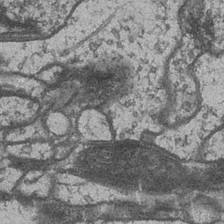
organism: Drosophila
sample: Optic medulla